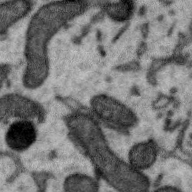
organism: Zebra finch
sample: Brain